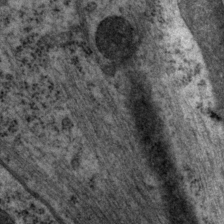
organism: P. pacificus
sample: Pharynx